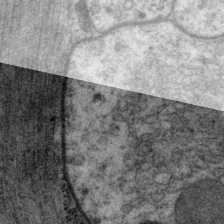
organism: P. pacificus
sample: Pharynx